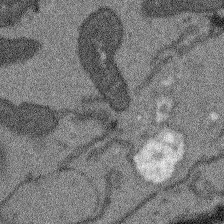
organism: Arabidopsis thaliana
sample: Root tip